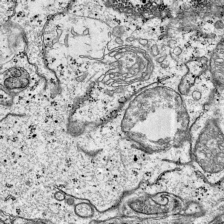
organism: Mouse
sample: Visual Cortex